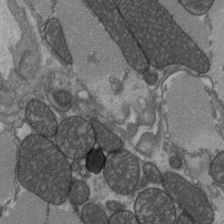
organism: C57BL Mouse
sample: Heart